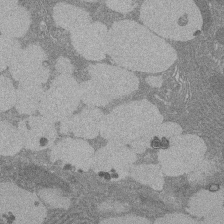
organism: Rat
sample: Salivary granule